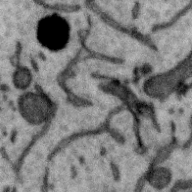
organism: Zebra finch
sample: Brain